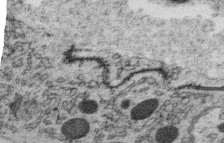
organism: C. elegans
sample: C. elegans oocyte; sperm cells